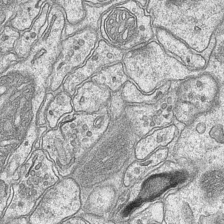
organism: Mouse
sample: CA1 Hippocampus